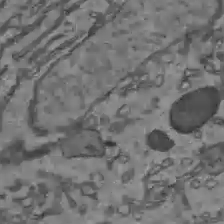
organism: C57BL Mouse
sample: Liver